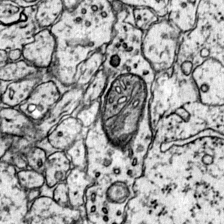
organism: Mouse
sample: Primary visual cortex